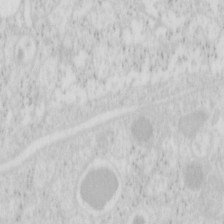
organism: Mouse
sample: Pancreas